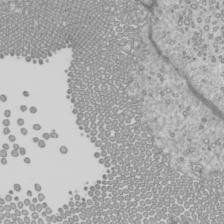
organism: Mouse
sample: Cilia; mouse epididymis